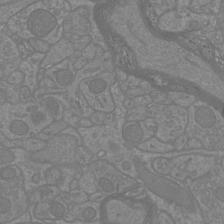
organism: Mouse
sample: Cortical neurons